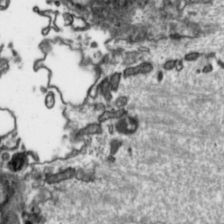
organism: Toxoplasma gondii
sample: Parasites in a vacuole inside a host cell